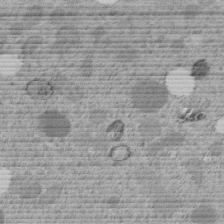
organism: C. elegans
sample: C. elegans embryo early stage